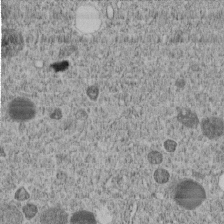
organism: C. elegans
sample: C. elegans embryo early stage